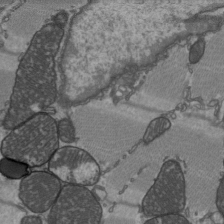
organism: C57BL Mouse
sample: Heart